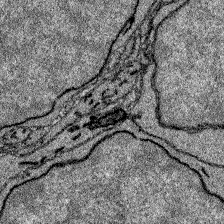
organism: Zebrafish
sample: Larval olfactory bulb